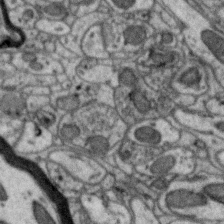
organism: Zebra finch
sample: Brain